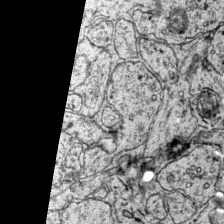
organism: Mouse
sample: Primary visual cortex